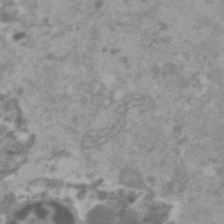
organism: Human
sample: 1205lu cells